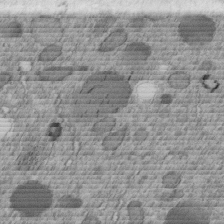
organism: C. elegans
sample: C. elegans embryo early stage